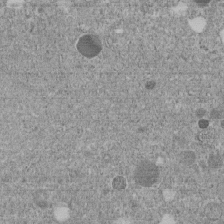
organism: C. elegans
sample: C. elegans embryo early stage